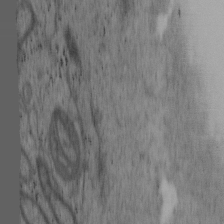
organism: Human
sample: HeLa cells